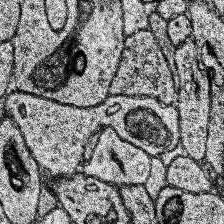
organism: Human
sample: Temporal Lobe